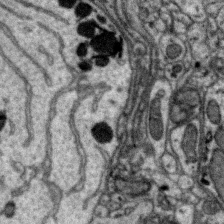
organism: Zebra finch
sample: Brain